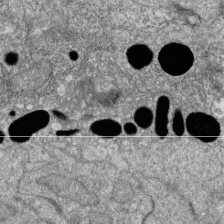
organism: Zebrafish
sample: Cilia; retinal pigment epithelium